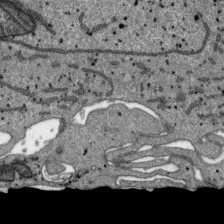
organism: Human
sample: Lung epithelial cells, uninfected (mock) control